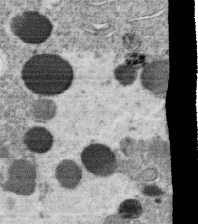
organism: C. elegans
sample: C. elegans oocyte; sperm cells